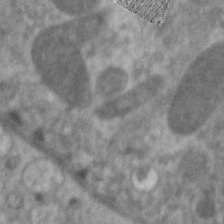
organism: C. elegans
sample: Pharynx